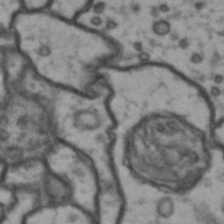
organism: Drosophila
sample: Brain